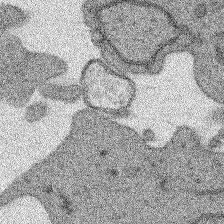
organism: Human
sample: HeLa cells